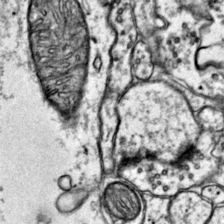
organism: Mouse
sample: Primary visual cortex